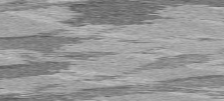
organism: C57BL Mouse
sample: Heart